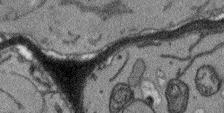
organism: Arabidopsis thaliana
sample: Root tip